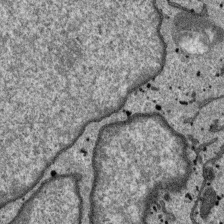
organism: Human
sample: Lung epithelial cells, uninfected (mock) control